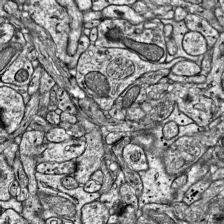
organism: Mouse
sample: Visual Cortex